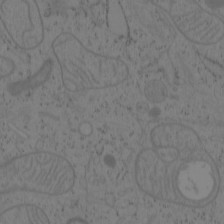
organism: Human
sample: HeLa cells